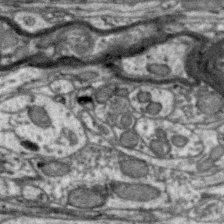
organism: Zebra finch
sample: Brain